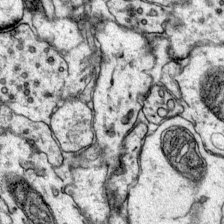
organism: Mouse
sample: Primary visual cortex